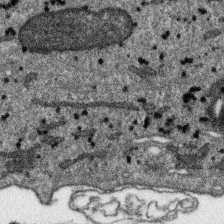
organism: Human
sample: Lung epithelial cells infected with SARS-CoV-2